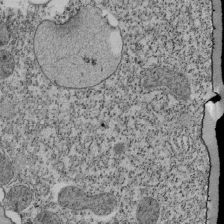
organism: Tetrahymena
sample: Cilia in tetrahymena